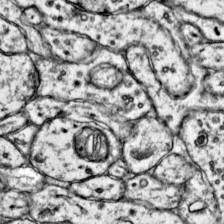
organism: Mouse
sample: Primary visual cortex